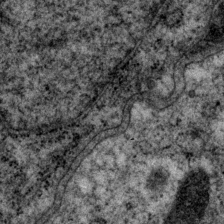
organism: P. pacificus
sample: Pharynx